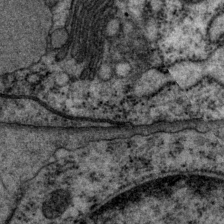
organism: P. pacificus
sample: Pharynx